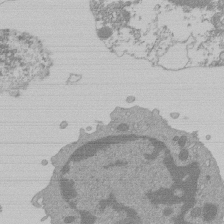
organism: Mouse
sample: Activated Pmel transgenic CD8+ T Cells